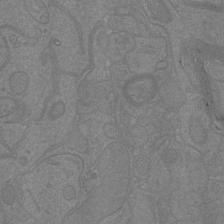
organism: Mouse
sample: Cortical neurons